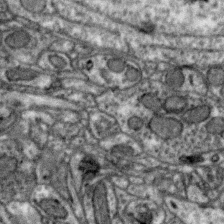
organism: Zebra finch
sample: Brain